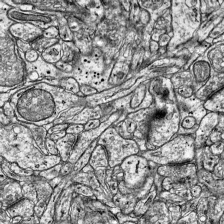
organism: Mouse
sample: Visual Cortex